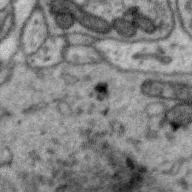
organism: Zebra finch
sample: Brain